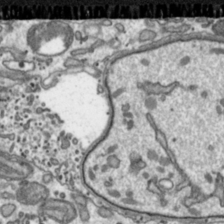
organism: Toxoplasma gondii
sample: Parasites in a vacuole inside a host cell